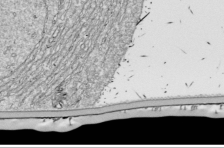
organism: Drosophila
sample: Cell division; meiosis; drosophila spermatocytes